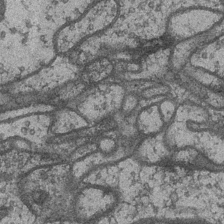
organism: Drosophila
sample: Optic medulla